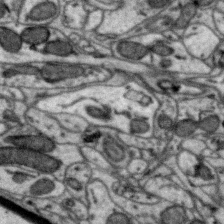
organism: Zebra finch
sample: Brain